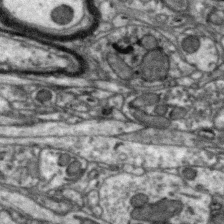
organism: Zebra finch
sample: Brain